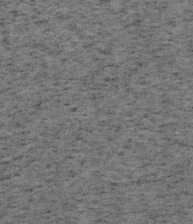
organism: Mouse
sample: OT-I killer T cells with ID8 ovarian cancer cells